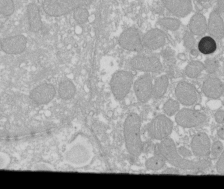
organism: Xenopus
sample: Cilia; centrioles in frog embryo cells